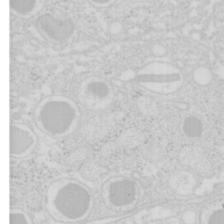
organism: Mouse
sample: Pancreas